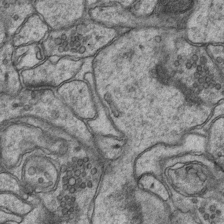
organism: Mouse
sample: CA1 Hippocampus